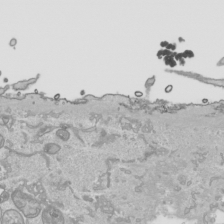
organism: Human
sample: Mitochondria in HCT116 cells